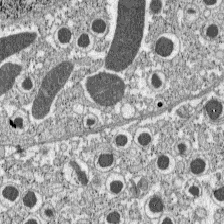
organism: C57BL Mouse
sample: Pancreatic islet